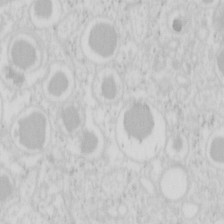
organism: Mouse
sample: Pancreas